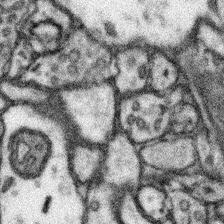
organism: Mouse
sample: Somatosensory cortex neuropil